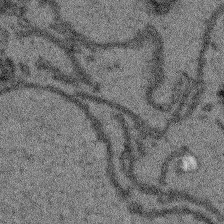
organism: Arabidopsis thaliana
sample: Root tip